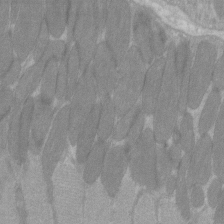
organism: C57BL Mouse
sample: Tibialis anterior muscle cell